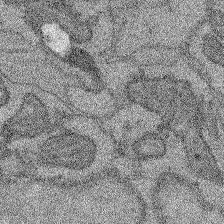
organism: Human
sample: HeLa cells